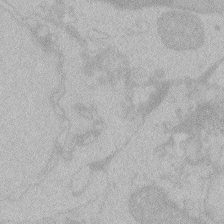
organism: Zebrafish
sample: Macrophage infected with Toxoplasma gondii